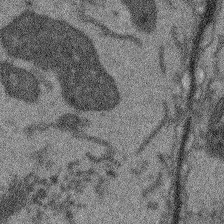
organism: Arabidopsis thaliana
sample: Root tip